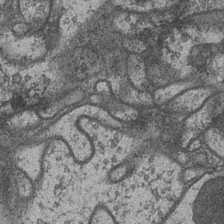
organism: Drosophila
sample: Optic medulla